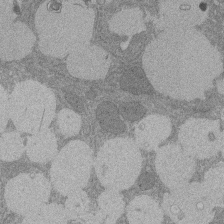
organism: Rat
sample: Salivary granule